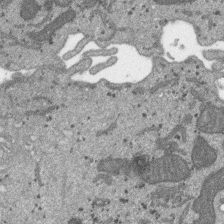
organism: Human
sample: Lung epithelial cells infected with SARS-CoV-2